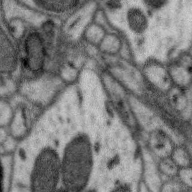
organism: Zebra finch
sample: Brain